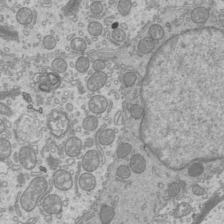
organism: Mouse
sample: Cilia; mouse epididymis